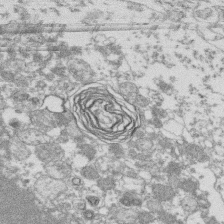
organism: Human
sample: HeLa cell HIV synapse